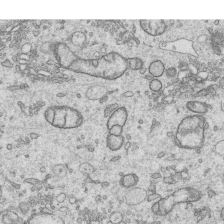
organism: Human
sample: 1205lu cells